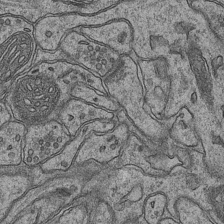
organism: Mouse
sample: CA1 Hippocampus